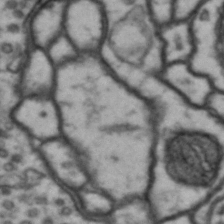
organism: Drosophila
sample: Brain